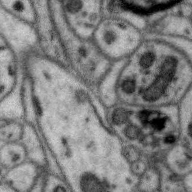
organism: Zebra finch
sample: Brain